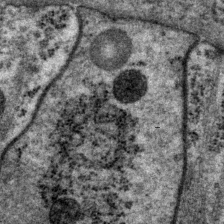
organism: P. pacificus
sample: Pharynx